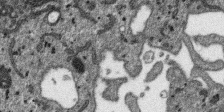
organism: Human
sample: Lung epithelial cells infected with SARS-CoV-2